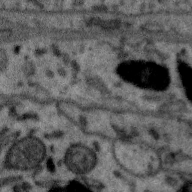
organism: Zebra finch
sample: Brain